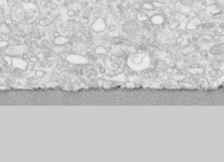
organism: Human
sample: CRL-1474